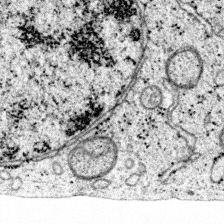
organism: Human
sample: HeLa cells